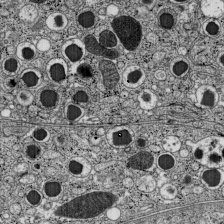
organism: C57BL Mouse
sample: Pancreatic islet